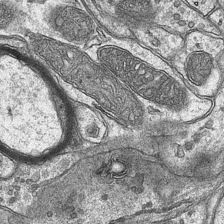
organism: Mouse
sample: CA1 Hippocampus